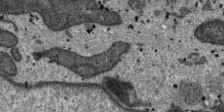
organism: Human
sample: Lung epithelial cells, uninfected (mock) control